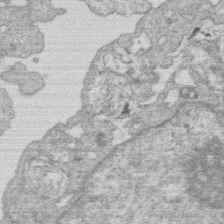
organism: Human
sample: Macrophage cells